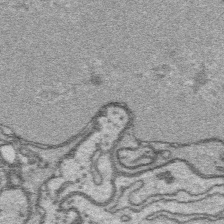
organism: Platynereis dumerilii